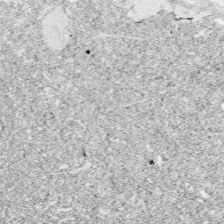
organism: Zebrafish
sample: Whole-Brain